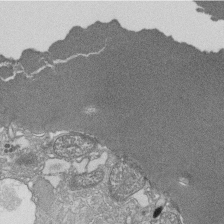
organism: Tetrahymena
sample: Cilia in tetrahymena